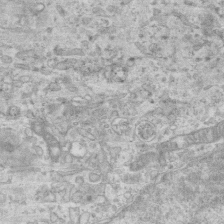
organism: Mouse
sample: Centriole in ependymal cells